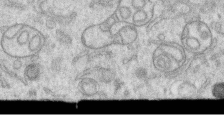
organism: Human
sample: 1205lu cells